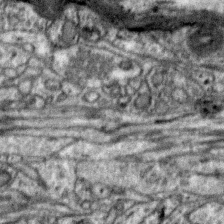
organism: Zebra finch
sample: Brain